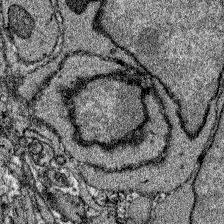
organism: Zebrafish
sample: Larval olfactory bulb